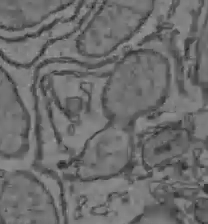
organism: C57BL Mouse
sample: Liver